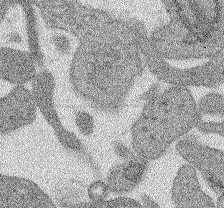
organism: Human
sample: HeLa cells